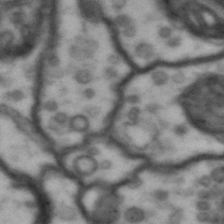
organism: Drosophila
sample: Brain